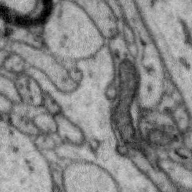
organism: Zebra finch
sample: Brain